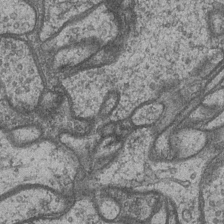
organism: Drosophila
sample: Optic medulla